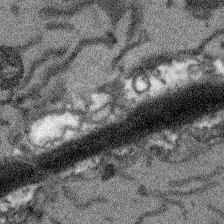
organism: Arabidopsis thaliana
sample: Root tip